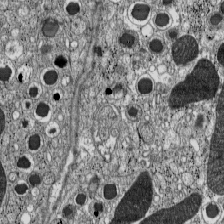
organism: C57BL Mouse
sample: Pancreatic islet